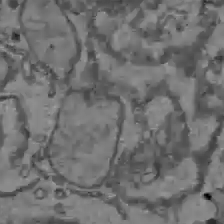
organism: C57BL Mouse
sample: Liver